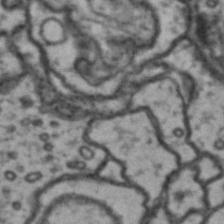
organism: Drosophila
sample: Brain